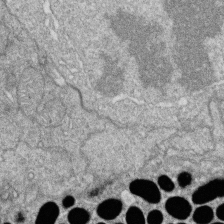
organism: Zebrafish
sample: Cilia; retinal pigment epithelium